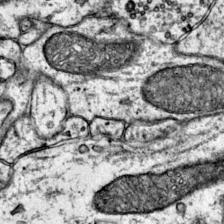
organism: Mouse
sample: Primary visual cortex